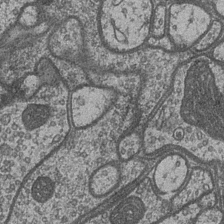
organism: Drosophila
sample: Optic medulla